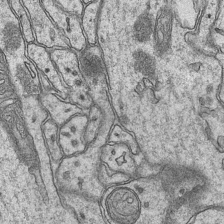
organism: Mouse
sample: CA1 Hippocampus